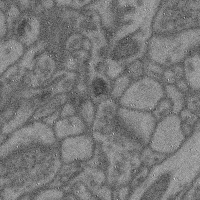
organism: Mouse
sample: Cerebral cortex